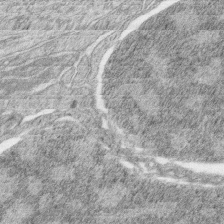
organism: Zebrafish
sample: synaptic ribbons in rod cells and cone cells